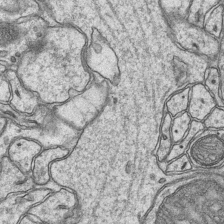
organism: Mouse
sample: CA1 Hippocampus